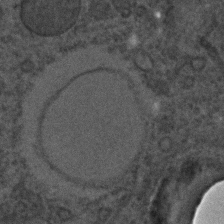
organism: C. elegans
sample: C. elegans embryo